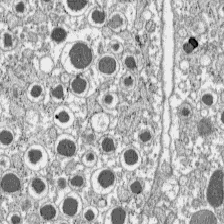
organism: C57BL Mouse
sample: Pancreatic islet